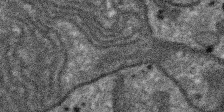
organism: Human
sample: Lung epithelial cells infected with SARS-CoV-2